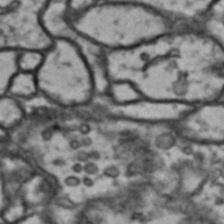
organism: Drosophila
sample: Brain